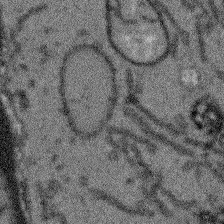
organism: Arabidopsis thaliana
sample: Root tip